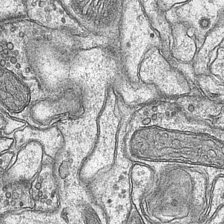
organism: Mouse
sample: CA1 Hippocampus